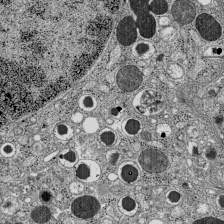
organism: C57BL Mouse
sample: Pancreatic islet